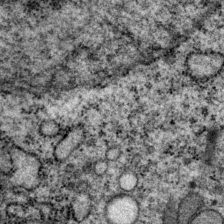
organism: P. pacificus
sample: Pharynx